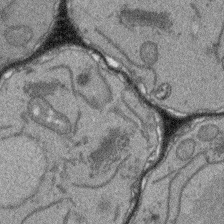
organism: Arabidopsis thaliana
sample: Root tip